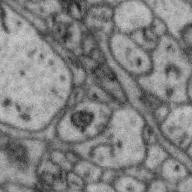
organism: Zebra finch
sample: Brain